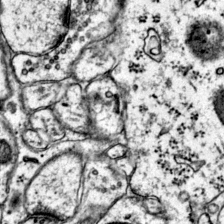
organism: Mouse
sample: Primary visual cortex